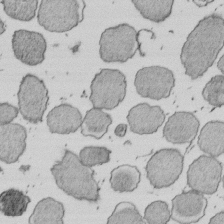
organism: E. coli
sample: Bacterial nucleoid